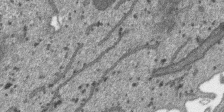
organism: Human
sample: Lung epithelial cells infected with SARS-CoV-2